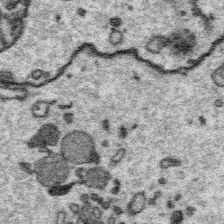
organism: Platynereis dumerilii